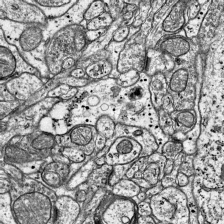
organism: Mouse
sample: Visual Cortex